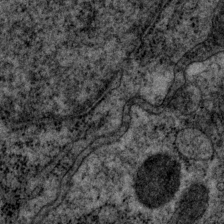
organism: P. pacificus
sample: Pharynx